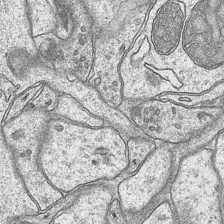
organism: Mouse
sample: CA1 Hippocampus